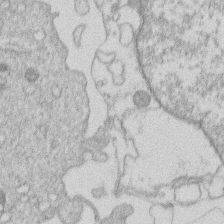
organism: Human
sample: Macrophage cells